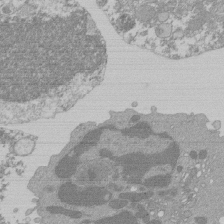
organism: Mouse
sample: Activated Pmel transgenic CD8+ T Cells